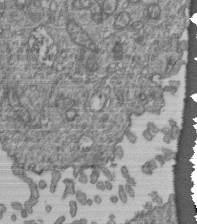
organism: Human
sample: Retinal organoid Rod and Cone cells